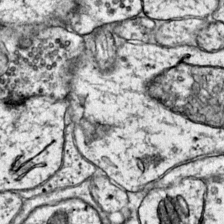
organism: Mouse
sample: Primary visual cortex